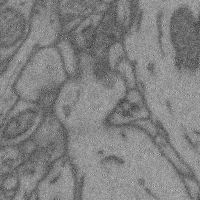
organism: Mouse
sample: Cerebral cortex